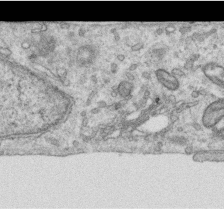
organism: Human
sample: Centriole in RPE cells